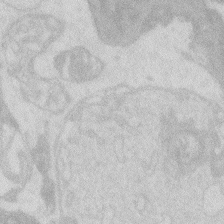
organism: Zebrafish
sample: Macrophage